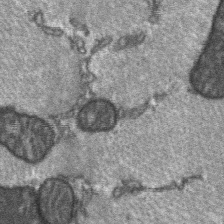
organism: C57BL Mouse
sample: Soleus